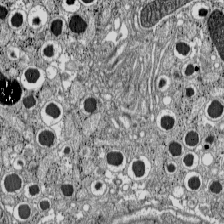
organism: C57BL Mouse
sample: Pancreatic islet